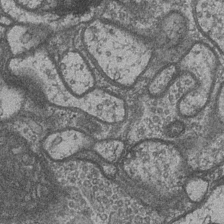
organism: Drosophila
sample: Optic medulla